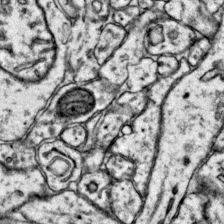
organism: Mouse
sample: Primary visual cortex